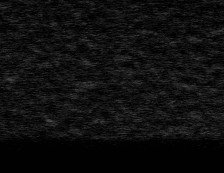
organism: Human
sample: HeLa cells